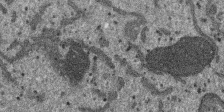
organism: Human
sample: Lung epithelial cells infected with SARS-CoV-2